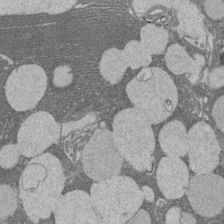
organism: Rat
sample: Salivary granule